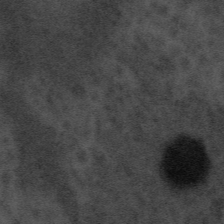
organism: Tuwongella immobilis